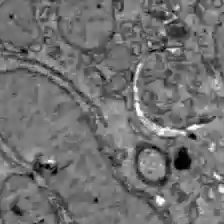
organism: C57BL Mouse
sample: Liver